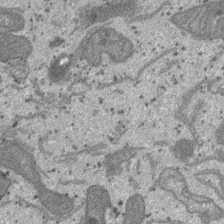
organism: Human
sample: Lung epithelial cells infected with SARS-CoV-2